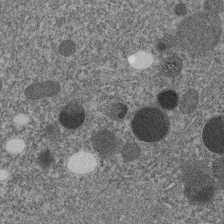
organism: C. elegans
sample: C. elegans embryo early stage